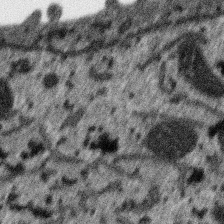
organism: Human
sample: Lung epithelial cells infected with SARS-CoV-2